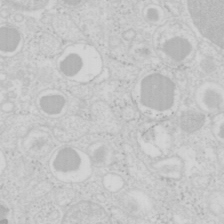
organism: Mouse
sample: Pancreas